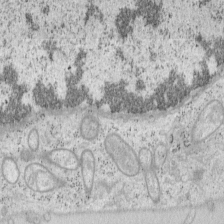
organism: Mouse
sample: OT-I killer T cells with ID8 ovarian cancer cells